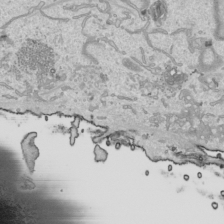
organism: Human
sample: Mitochondria in HCT116 cells